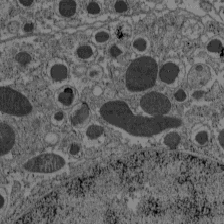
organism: C57BL Mouse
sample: Pancreatic islet